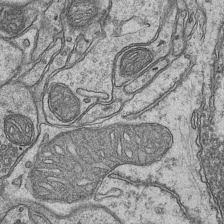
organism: Mouse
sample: CA1 Hippocampus